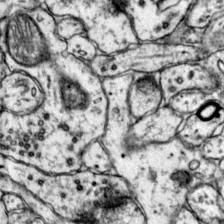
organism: Mouse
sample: Primary visual cortex